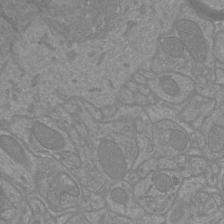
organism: Mouse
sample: Cortical neurons